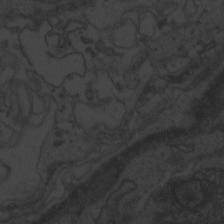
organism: Zebrafish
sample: Macrophage infected with Toxoplasma gondii